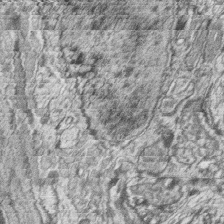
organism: Zebrafish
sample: synaptic ribbons in rod cells and cone cells